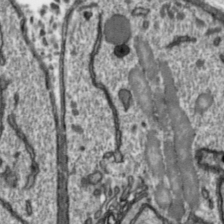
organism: Toxoplasma gondii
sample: Parasites in a vacuole inside a host cell